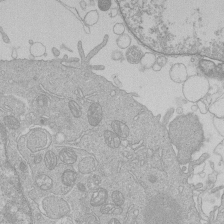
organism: Human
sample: Macrophage cells